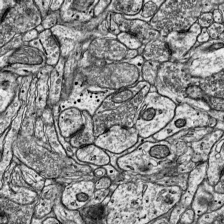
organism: Mouse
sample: Visual Cortex